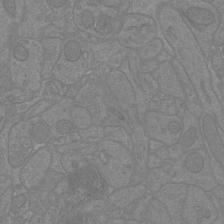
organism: Mouse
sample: Cortical neurons